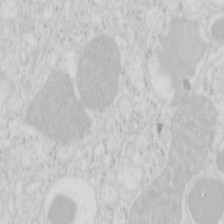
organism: Mouse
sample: Pancreas